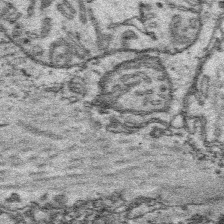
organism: Platynereis dumerilii